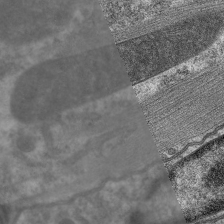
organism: C. elegans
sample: Pharynx